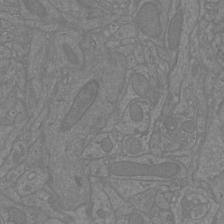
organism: Mouse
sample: Cortical neurons